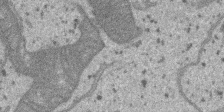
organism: Human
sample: Lung epithelial cells infected with SARS-CoV-2